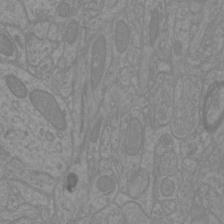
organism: Mouse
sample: Cortical neurons